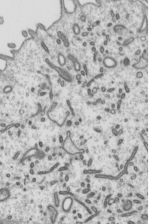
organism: Mouse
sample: Mouse epididymis efferent ductule cilia